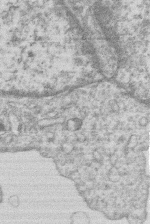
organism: Human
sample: Macrophage cells